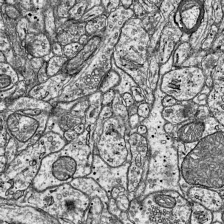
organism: Mouse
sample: Visual Cortex